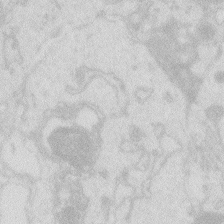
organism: Zebrafish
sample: Macrophage